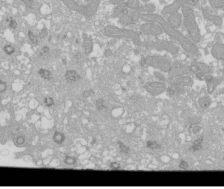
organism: Xenopus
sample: Cilia; centrioles in frog embryo cells